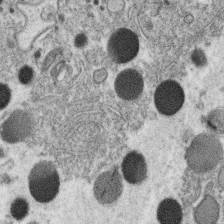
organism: C. elegans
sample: C. elegans oocyte; sperm cells